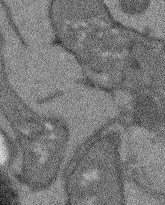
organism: Arabidopsis thaliana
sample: Root tip